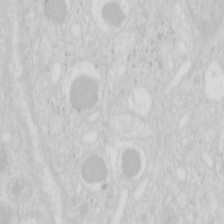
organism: Mouse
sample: Pancreas